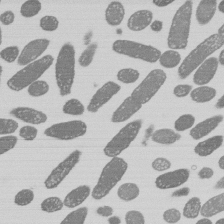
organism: E. coli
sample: Bacterial nucleoid